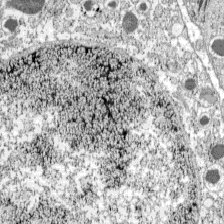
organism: C57BL Mouse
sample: Pancreatic islet